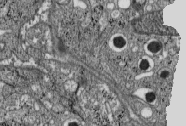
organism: C57BL Mouse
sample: Pancreatic islet